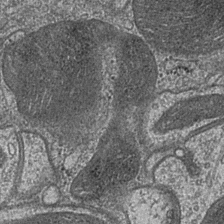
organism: Drosophila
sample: Optic medulla